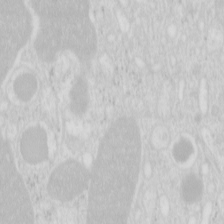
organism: Mouse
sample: Pancreas